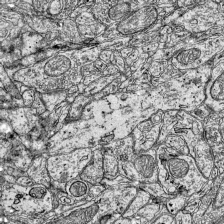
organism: Mouse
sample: Visual Cortex